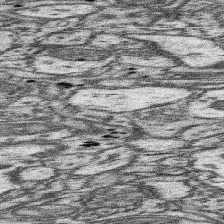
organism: Mouse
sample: Somatosensory cortex neuropil